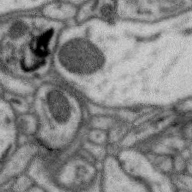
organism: Zebra finch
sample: Brain